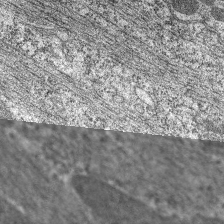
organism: C. elegans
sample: Pharynx